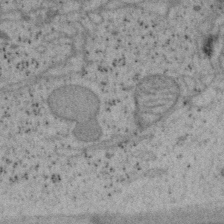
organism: Human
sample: HeLa cells